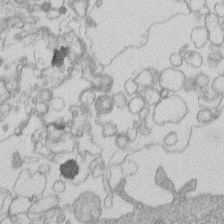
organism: Human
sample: Macrophage cells